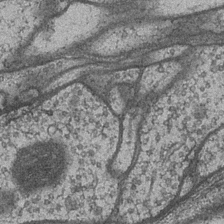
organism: Drosophila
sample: Optic medulla